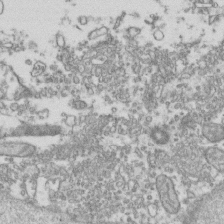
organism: Human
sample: Activated Jurkat CD4+ T cells